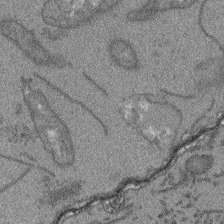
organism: Arabidopsis thaliana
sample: Root tip